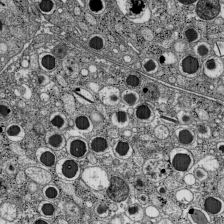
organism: C57BL Mouse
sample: Pancreatic islet